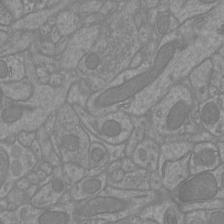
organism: Mouse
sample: Cortical neurons